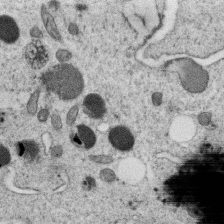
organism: C. elegans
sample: C. elegans oocyte; sperm cells